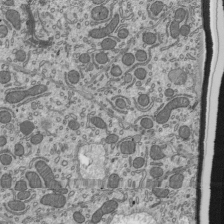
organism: Mouse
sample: Mouse epididymis efferent ductule cilia